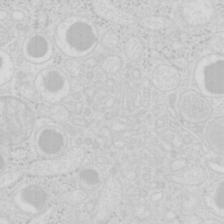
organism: Mouse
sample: Pancreas